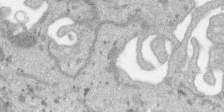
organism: Human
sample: Lung epithelial cells infected with SARS-CoV-2